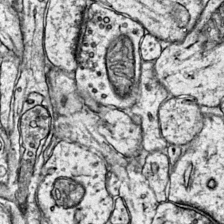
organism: Mouse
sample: Primary visual cortex